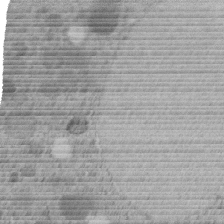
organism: C. elegans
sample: C. elegans embryo early stage